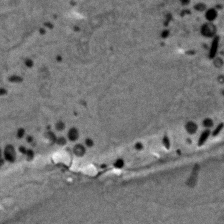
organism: Zebrafish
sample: Zebrafish embryo